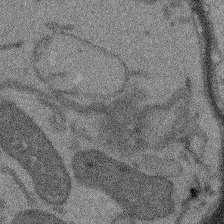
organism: Arabidopsis thaliana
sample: Root tip